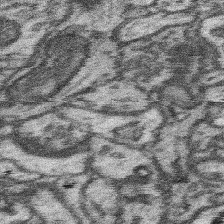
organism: Mouse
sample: Somatosensory cortex neuropil